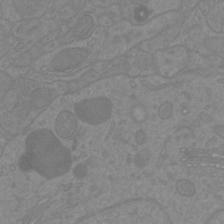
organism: Mouse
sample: Cortical neurons